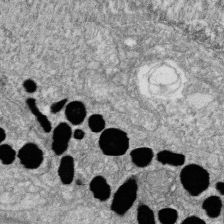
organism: Zebrafish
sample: Cilia; retinal pigment epithelium